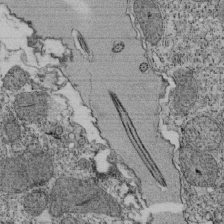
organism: Tetrahymena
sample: Cilia in tetrahymena